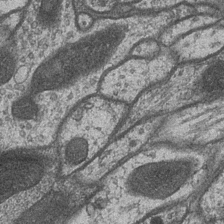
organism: Drosophila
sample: Optic medulla